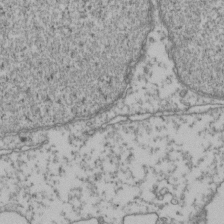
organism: Human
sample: Activated Jurkat CD4+ T cells